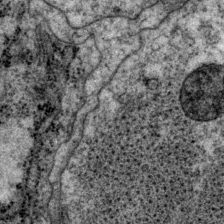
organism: P. pacificus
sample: Pharynx